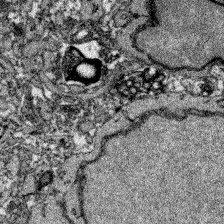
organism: Zebrafish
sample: Larval olfactory bulb